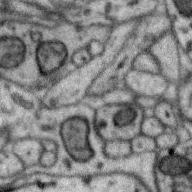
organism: Zebra finch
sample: Brain